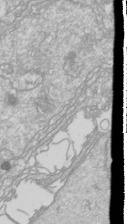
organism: Drosophila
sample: Cell division; meiosis; drosophila spermatocytes